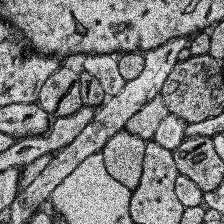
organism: Human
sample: Temporal Lobe